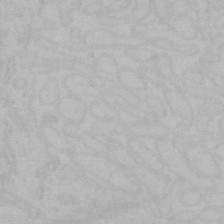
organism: Mouse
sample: Choroid plexus